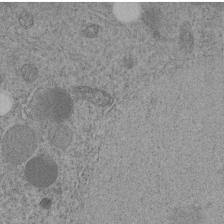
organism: C. elegans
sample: C. elegans embryo early stage